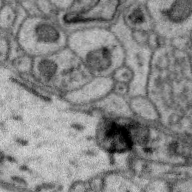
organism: Zebra finch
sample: Brain